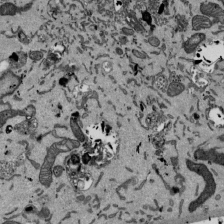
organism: Mouse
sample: ED-1 cell nuclei; centrioles